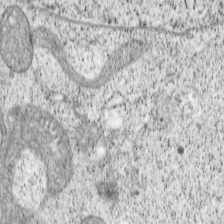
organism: African green monkey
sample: COS-7 cells